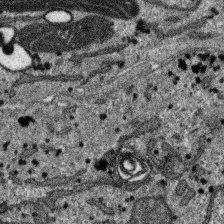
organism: Human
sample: Lung epithelial cells infected with SARS-CoV-2